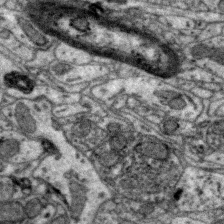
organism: Zebra finch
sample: Brain